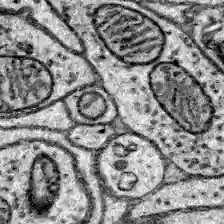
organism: Zebrafish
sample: Brain